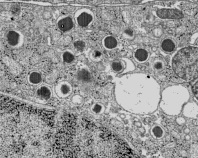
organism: C57BL Mouse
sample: Pancreatic islet